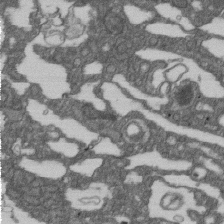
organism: Drosophila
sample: Nephrocyte